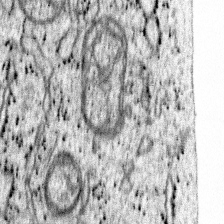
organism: Human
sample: HeLa cells